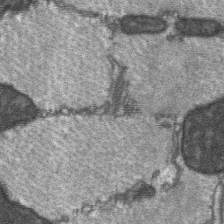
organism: C57BL Mouse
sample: Soleus